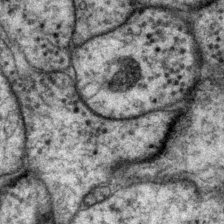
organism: P. pacificus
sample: Pharynx